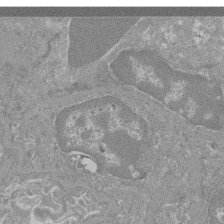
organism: Mouse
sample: Glomerulus